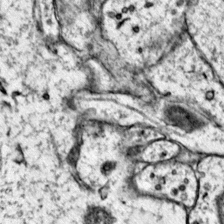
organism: Mouse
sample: Primary visual cortex